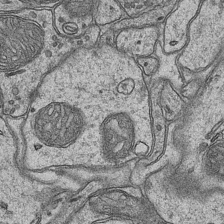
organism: Mouse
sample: CA1 Hippocampus